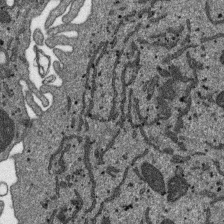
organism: Human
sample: Lung epithelial cells infected with SARS-CoV-2